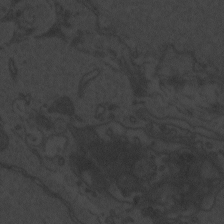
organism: Zebrafish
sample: Macrophage infected with Toxoplasma gondii